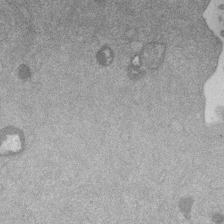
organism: Mouse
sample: Dividing mouse embryo 1 cell stage